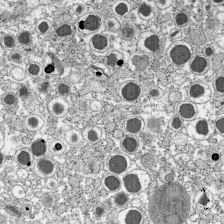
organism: C57BL Mouse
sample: Pancreatic islet